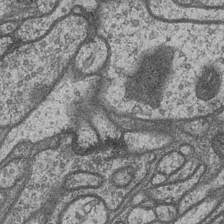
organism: Drosophila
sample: Optic medulla